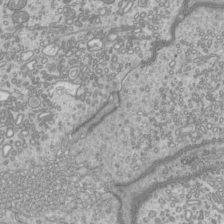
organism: Mouse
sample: Cilia; mouse epididymis